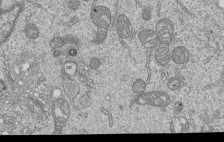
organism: Human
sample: MDA-MB-231 cells